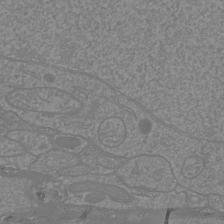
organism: Mouse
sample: Cortical neurons